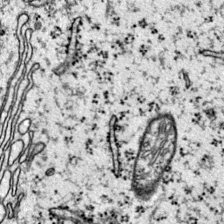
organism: Mouse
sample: Primary visual cortex